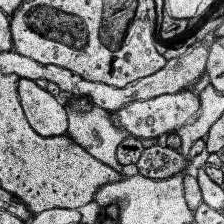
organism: Human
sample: Temporal Lobe